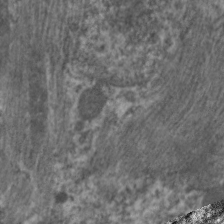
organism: C. elegans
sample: Pharynx